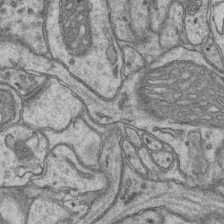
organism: Mouse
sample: CA1 Hippocampus